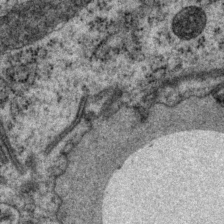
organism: P. pacificus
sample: Pharynx